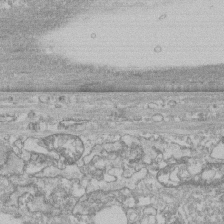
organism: Human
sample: CRL-1474